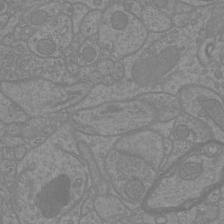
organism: Mouse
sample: Cortical neurons